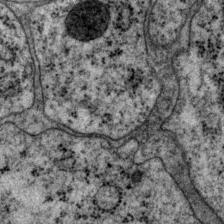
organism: P. pacificus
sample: Pharynx